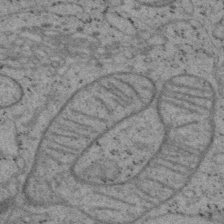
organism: Human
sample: HeLa cells